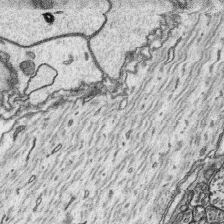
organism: Platynereis dumerilii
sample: Parapodia